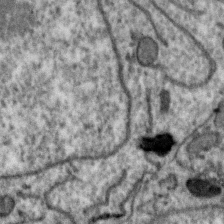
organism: Zebra finch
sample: Brain